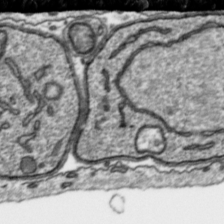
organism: Toxoplasma gondii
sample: Parasites in a vacuole inside a host cell